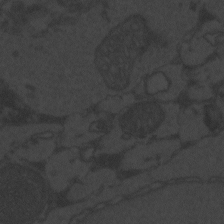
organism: Zebrafish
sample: Macrophage infected with Toxoplasma gondii